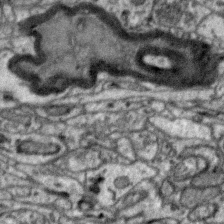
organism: Zebra finch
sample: Brain